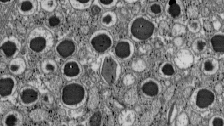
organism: C57BL Mouse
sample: Pancreatic islet